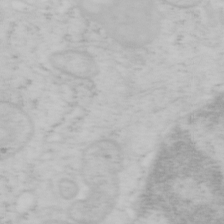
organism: Mouse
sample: OT-I killer T cells with ID8 ovarian cancer cells